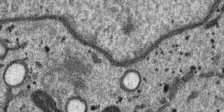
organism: Human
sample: Lung epithelial cells infected with SARS-CoV-2